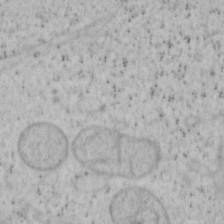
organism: Human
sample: HeLa cells